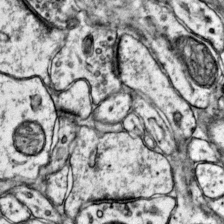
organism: Mouse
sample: Primary visual cortex